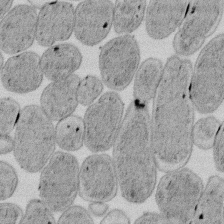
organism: E. coli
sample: Bacterial nucleoid